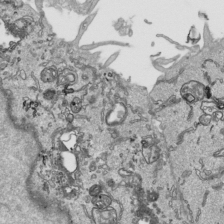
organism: Human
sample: Mitochondria in HCT116 cells